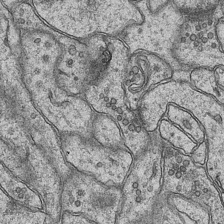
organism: Mouse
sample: CA1 Hippocampus